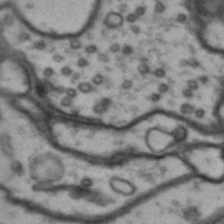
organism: Drosophila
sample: Brain